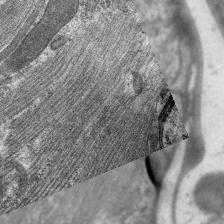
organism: C. elegans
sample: Pharynx